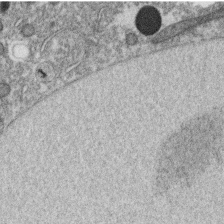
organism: C. elegans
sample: C. elegans oocyte; sperm cells